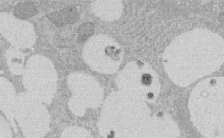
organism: Rat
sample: Salivary granule